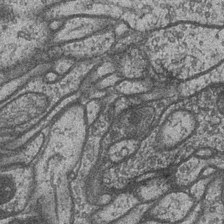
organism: Drosophila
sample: Optic medulla